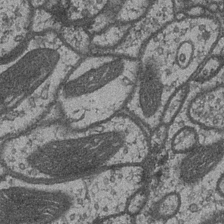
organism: Drosophila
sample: Optic medulla